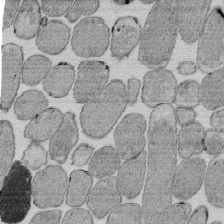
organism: E. coli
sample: Bacterial nucleoid